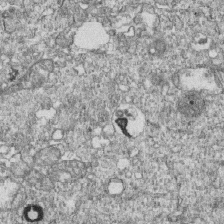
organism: Human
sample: HeLa cell HIV synapse